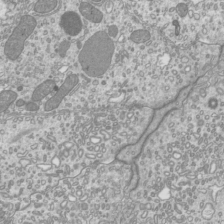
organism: Mouse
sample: Cilia; mouse epididymis